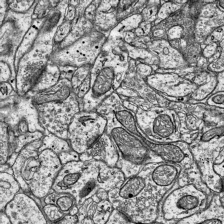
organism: Mouse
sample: Visual Cortex